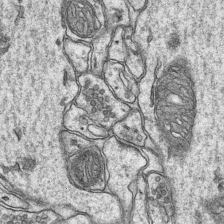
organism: Mouse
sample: CA1 Hippocampus